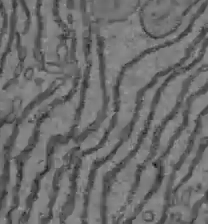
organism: C57BL Mouse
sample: Liver